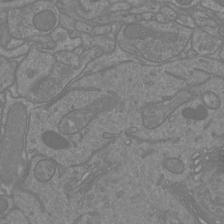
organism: Mouse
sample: Cortical neurons